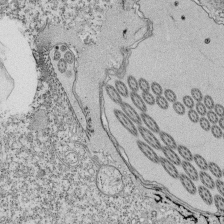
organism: Tetrahymena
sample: Cilia in tetrahymena